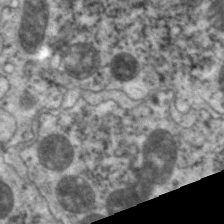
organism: C. elegans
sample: Pharynx